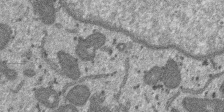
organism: Human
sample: Lung epithelial cells infected with SARS-CoV-2